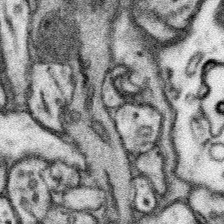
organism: Mouse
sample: Somatosensory cortex neuropil